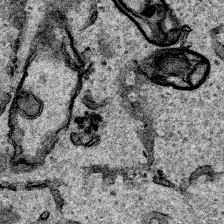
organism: Human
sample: Mitochondria in HCT116 cells